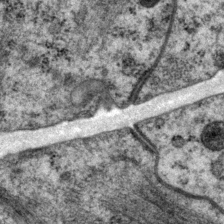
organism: P. pacificus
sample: Pharynx